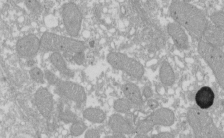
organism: Xenopus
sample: Cilia; centrioles in frog embryo cells